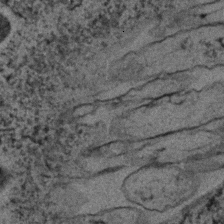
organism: C. elegans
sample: C. elegans embryo